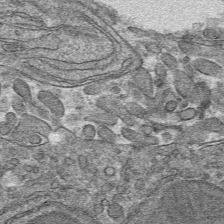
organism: Mouse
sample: Mouse hepatocytes